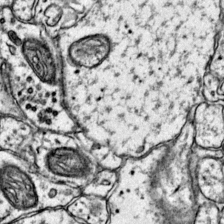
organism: Mouse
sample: Primary visual cortex